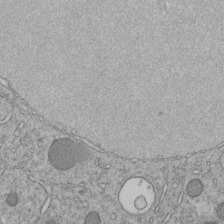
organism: C. elegans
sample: C. elegans embryo early stage